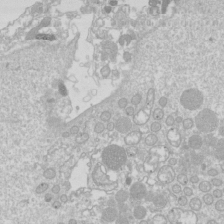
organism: Drosophila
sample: Cell division; meiosis; drosophila spermatocytes